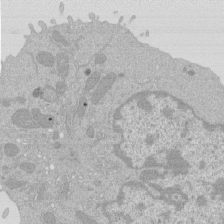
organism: Mouse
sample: Activated Pmel transgenic CD8+ T Cells